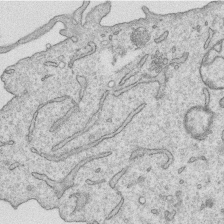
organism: Human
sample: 1205lu cells